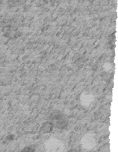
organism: C. elegans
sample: C. elegans embryo early stage